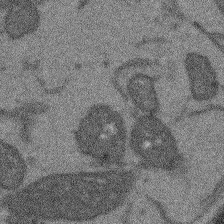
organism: Arabidopsis thaliana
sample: Root tip